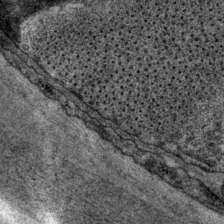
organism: P. pacificus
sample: Pharynx